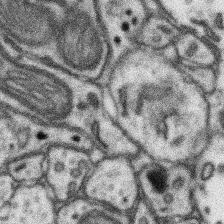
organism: Mouse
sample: Somatosensory cortex neuropil